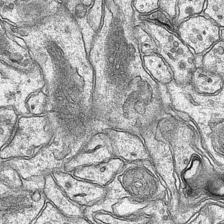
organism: Mouse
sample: CA1 Hippocampus